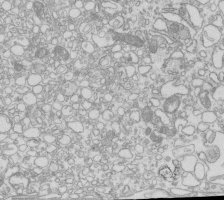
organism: Mouse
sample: Macrophages